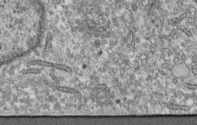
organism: Human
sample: Centriole in fibroblast cells